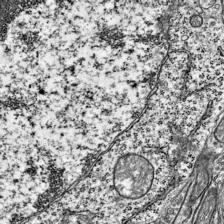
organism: Mouse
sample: Visual Cortex